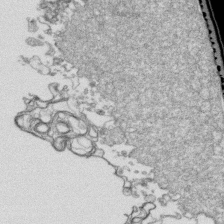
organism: Human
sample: HeLa cell HIV synapse